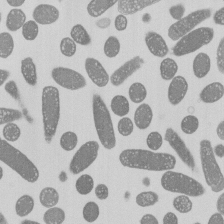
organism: E. coli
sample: Bacterial nucleoid